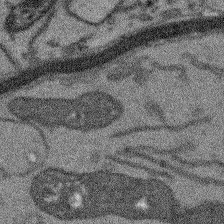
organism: Arabidopsis thaliana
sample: Root tip